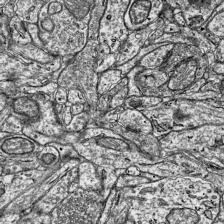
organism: Mouse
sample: Visual Cortex